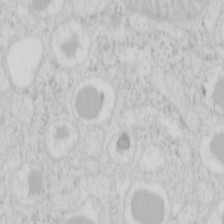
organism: Mouse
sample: Pancreas